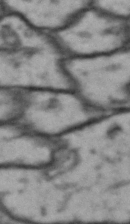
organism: Drosophila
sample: Brain